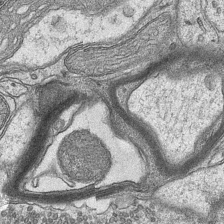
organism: Mouse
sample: CA1 Hippocampus